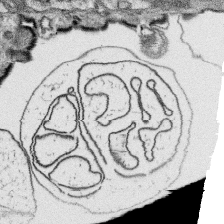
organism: Platynereis dumerilii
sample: Parapodia